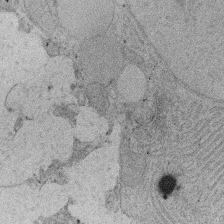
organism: Rat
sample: Salivary granule